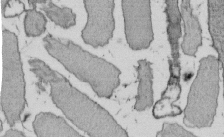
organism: E. coli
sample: Bacterial nucleoid